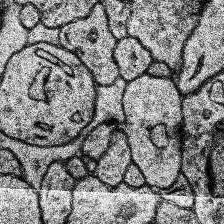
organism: Human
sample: Temporal Lobe